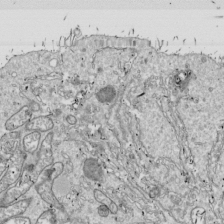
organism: Drosophila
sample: Cell division; meiosis; drosophila spermatocytes